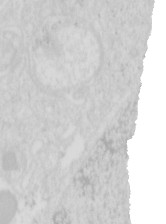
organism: Mouse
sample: Pancreas